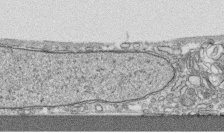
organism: Human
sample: CRL-1474